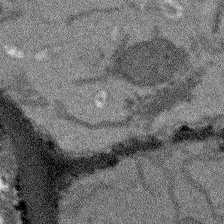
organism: Arabidopsis thaliana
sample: Root tip